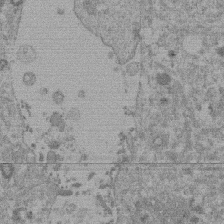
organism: Mouse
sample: Dividing mouse embryo 1 cell stage